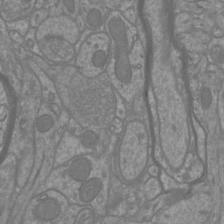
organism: Mouse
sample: Cortical neurons